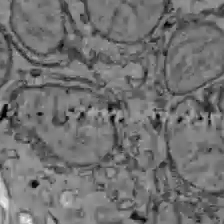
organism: C57BL Mouse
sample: Liver